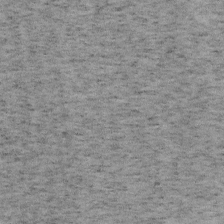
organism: Mouse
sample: OT-I killer T cells with ID8 ovarian cancer cells